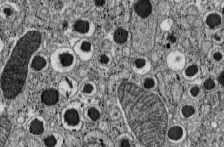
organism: C57BL Mouse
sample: Pancreatic islet